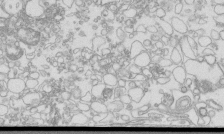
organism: Mouse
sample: Macrophages